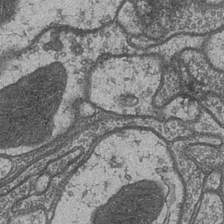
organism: Drosophila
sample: Optic medulla